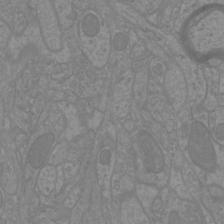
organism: Mouse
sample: Cortical neurons